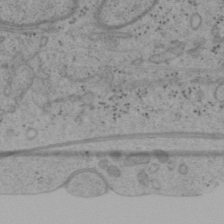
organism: Human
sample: HeLa cells